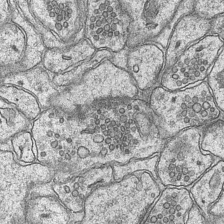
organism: Mouse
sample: CA1 Hippocampus